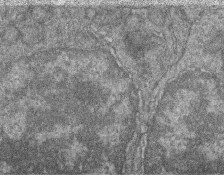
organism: Zebrafish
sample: Cilia; retinal pigment epithelium